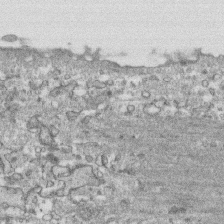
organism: Human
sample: CRL-1474